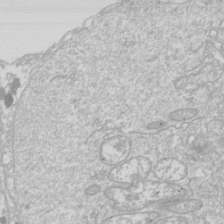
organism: Drosophila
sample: Cell division; meiosis; drosophila spermatocytes